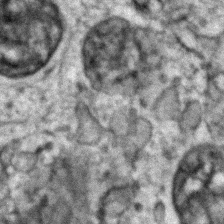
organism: Zebrafish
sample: Zebrafish embryo